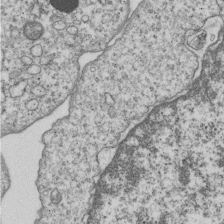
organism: Human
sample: MDA-MB-231 cells